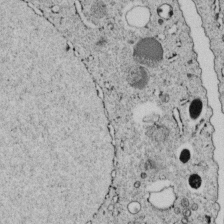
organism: C. elegans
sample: C. elegans embryo early stage